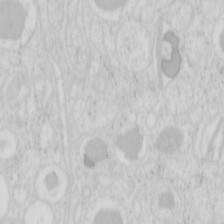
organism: Mouse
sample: Pancreas